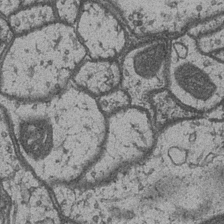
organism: Drosophila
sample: Optic medulla